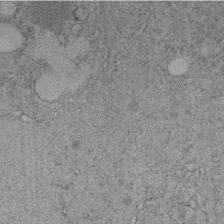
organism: C. elegans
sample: C. elegans embryo early stage